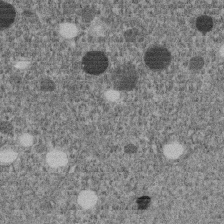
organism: C. elegans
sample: C. elegans embryo early stage